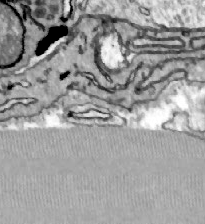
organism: Zebrafish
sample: Actinotrichia fibers